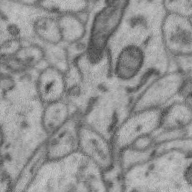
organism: Zebra finch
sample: Brain